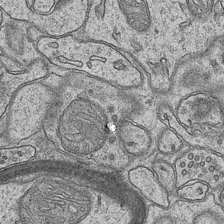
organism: Mouse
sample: CA1 Hippocampus